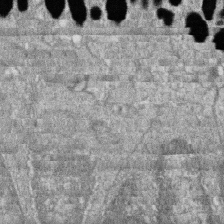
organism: Zebrafish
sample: Cilia; retinal pigment epithelium